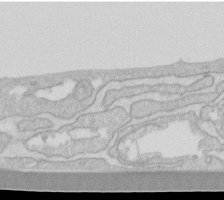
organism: Human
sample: Fibroblast cells